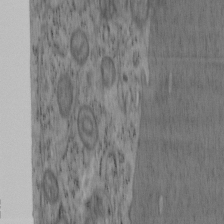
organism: Human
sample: HeLa cells